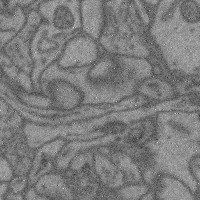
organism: Mouse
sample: Cerebral cortex